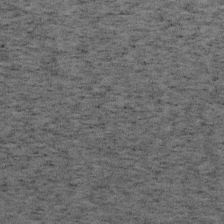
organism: Mouse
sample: OT-I killer T cells with ID8 ovarian cancer cells